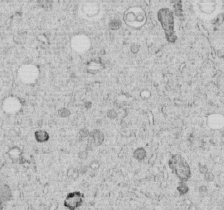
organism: C. elegans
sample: C. elegans embryo early stage